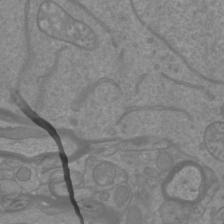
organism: Mouse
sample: Cortical neurons